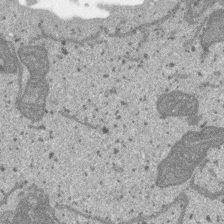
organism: Human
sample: Lung epithelial cells infected with SARS-CoV-2